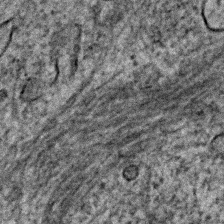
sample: Trachea